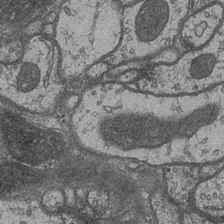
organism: Drosophila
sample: Optic medulla